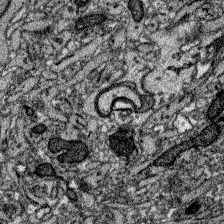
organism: Zebrafish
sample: Larval olfactory bulb